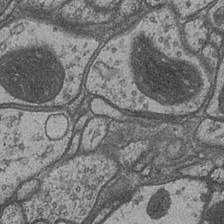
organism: Drosophila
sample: Optic medulla